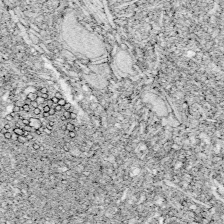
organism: Zebrafish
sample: Whole-Brain